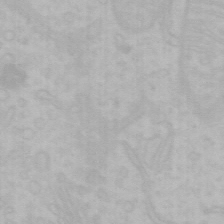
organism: Mouse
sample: Choroid plexus